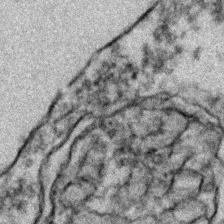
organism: Zebrafish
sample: Zebrafish embryo